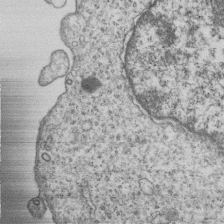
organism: Human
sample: MDA-MB-231 cells